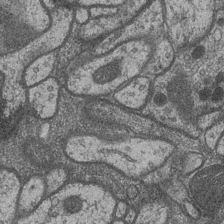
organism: Drosophila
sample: Optic medulla